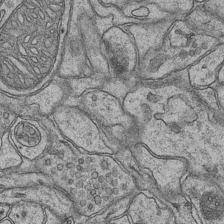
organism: Mouse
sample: CA1 Hippocampus